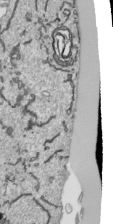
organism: Human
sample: Mitochondria in HCT116 cells